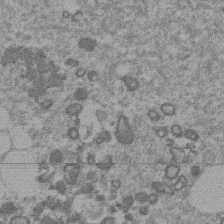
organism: Mouse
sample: Dividing mouse embryo 1 cell stage